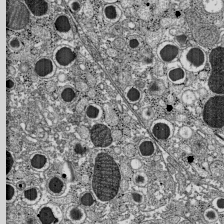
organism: C57BL Mouse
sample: Pancreatic islet